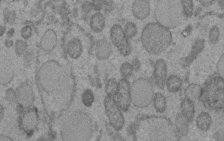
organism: C. elegans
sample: C. elegans embryo early stage